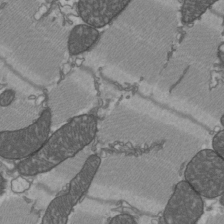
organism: C57BL Mouse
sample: Heart